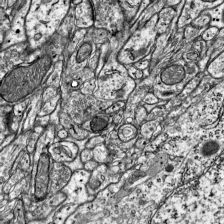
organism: Mouse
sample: Visual Cortex